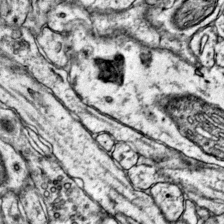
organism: Mouse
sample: Primary visual cortex